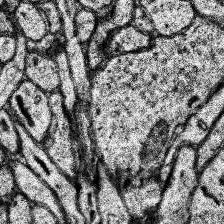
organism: Human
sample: Temporal Lobe